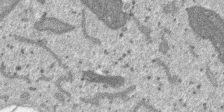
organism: Human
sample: Lung epithelial cells infected with SARS-CoV-2